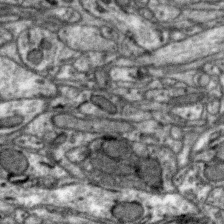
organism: Zebra finch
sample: Brain